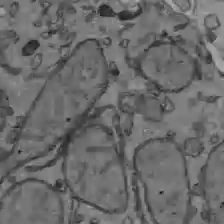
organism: C57BL Mouse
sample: Liver